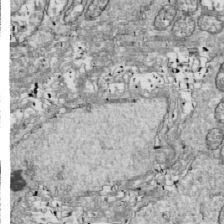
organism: Drosophila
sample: Cell division; meiosis; drosophila spermatocytes